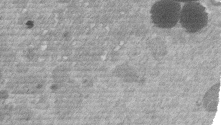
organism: Mouse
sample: Dividing mouse embryo 1 cell stage